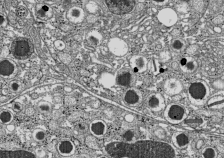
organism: C57BL Mouse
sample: Pancreatic islet